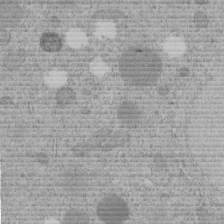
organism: C. elegans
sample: C. elegans embryo early stage